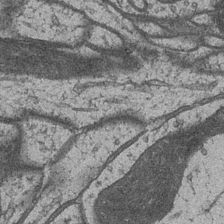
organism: Drosophila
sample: Optic medulla